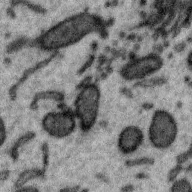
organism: Zebra finch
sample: Brain